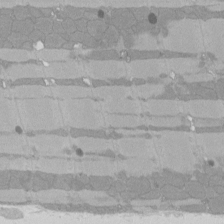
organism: Rat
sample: Left ventricle